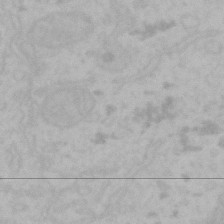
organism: Mouse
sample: Choroid plexus